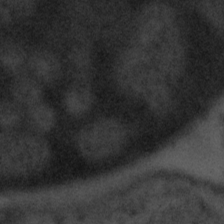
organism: Tuwongella immobilis